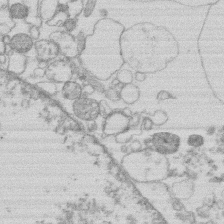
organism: Human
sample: Macrophage cells